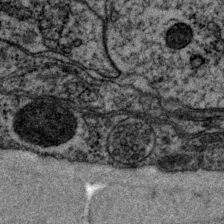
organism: P. pacificus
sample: Pharynx